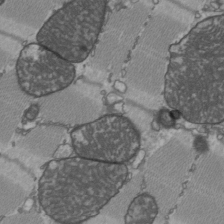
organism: C57BL Mouse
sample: Heart